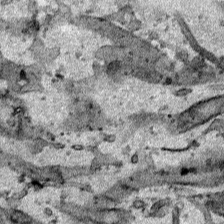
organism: Human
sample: Mitochondria in HCT116 cells